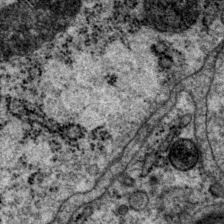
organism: P. pacificus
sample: Pharynx